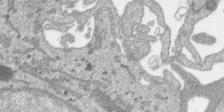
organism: Human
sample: Lung epithelial cells infected with SARS-CoV-2